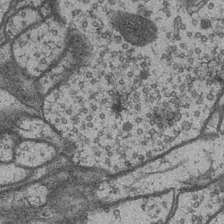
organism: Drosophila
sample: Optic medulla